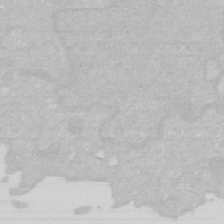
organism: Human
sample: HIV infected U937 cells